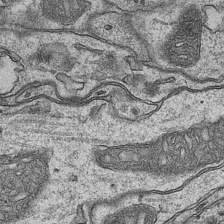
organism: Mouse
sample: CA1 Hippocampus